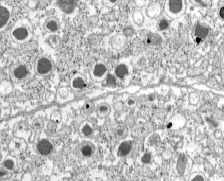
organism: C57BL Mouse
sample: Pancreatic islet